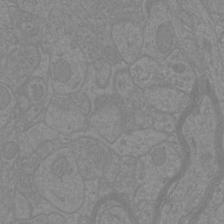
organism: Mouse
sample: Cortical neurons